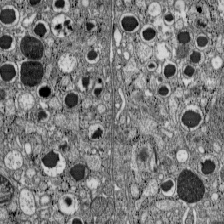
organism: C57BL Mouse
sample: Pancreatic islet